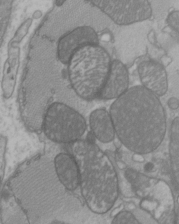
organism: C57BL Mouse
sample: Heart